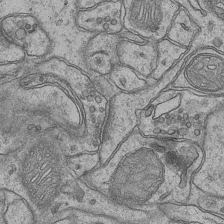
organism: Mouse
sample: CA1 Hippocampus